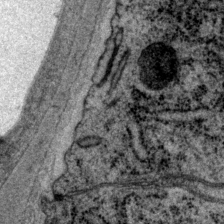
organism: P. pacificus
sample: Pharynx